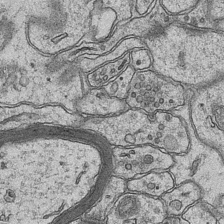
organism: Mouse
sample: CA1 Hippocampus